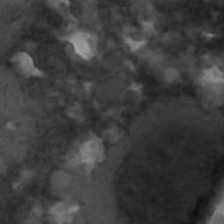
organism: C. elegans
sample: C. elegans embryo